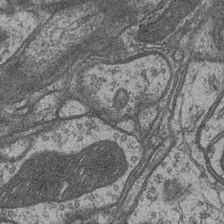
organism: Drosophila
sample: Optic medulla